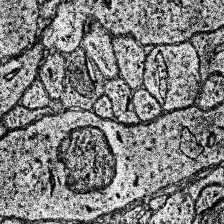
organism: Human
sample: Temporal Lobe